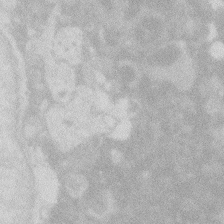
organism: Zebrafish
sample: Macrophage